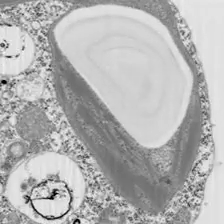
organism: Chlamydomonas reinhardtii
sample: Whole Cell